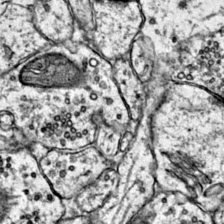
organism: Mouse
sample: Primary visual cortex